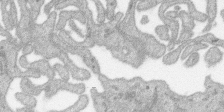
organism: Human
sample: Lung epithelial cells infected with SARS-CoV-2